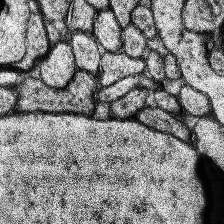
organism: Human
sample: Temporal Lobe